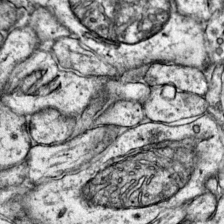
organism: Mouse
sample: Primary visual cortex